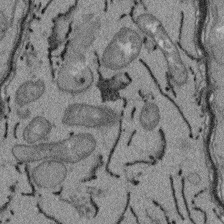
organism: Arabidopsis thaliana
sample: Root tip